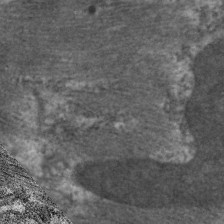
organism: C. elegans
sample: Pharynx